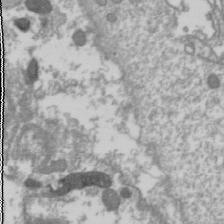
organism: Drosophila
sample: Cell division; meiosis; drosophila spermatocytes